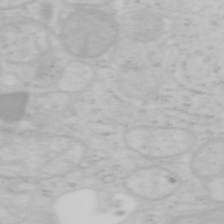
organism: Mouse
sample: OT-I killer T cells with ID8 ovarian cancer cells